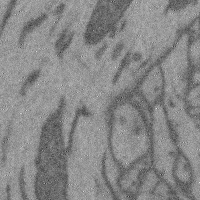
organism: Mouse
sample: Cerebral cortex